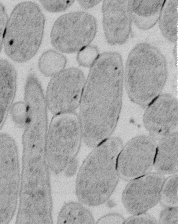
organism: E. coli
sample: Bacterial nucleoid